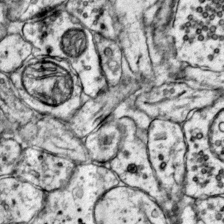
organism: Mouse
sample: Primary visual cortex